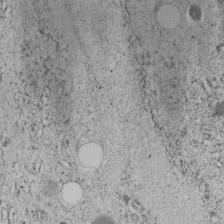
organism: C. elegans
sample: C. elegans embryo early stage